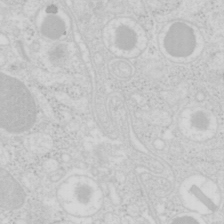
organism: Mouse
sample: Pancreas